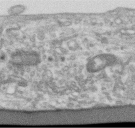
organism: Human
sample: Centriole in RPE cells